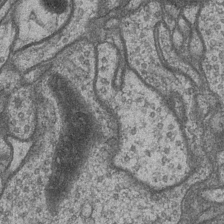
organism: Drosophila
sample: Optic medulla